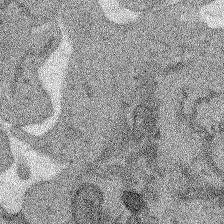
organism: Human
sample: HeLa cells